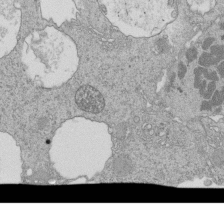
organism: Tetrahymena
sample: Cilia in tetrahymena